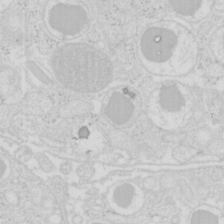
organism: Mouse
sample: Pancreas